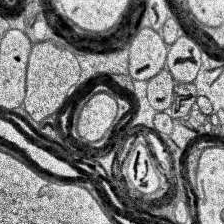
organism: Human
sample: Temporal Lobe